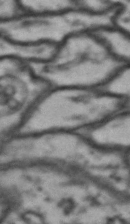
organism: Drosophila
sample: Brain